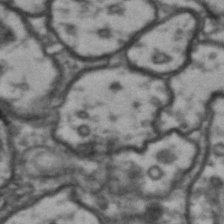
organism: Drosophila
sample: Brain